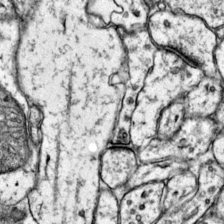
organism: Mouse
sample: Primary visual cortex